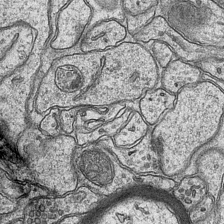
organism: Mouse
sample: CA1 Hippocampus